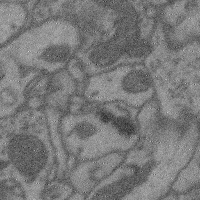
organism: Mouse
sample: Cerebral cortex